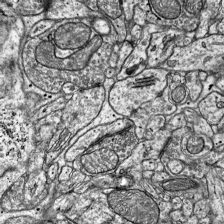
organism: Mouse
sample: Visual Cortex